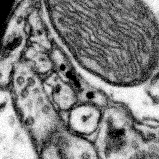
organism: Mouse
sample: Somatosensory cortex neuropil